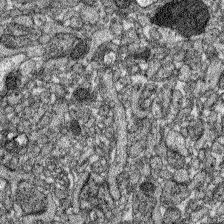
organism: Zebrafish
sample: Larval olfactory bulb